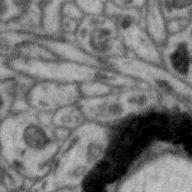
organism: Zebra finch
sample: Brain